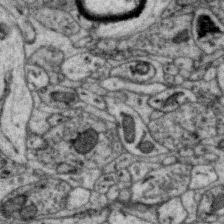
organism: Zebra finch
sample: Brain